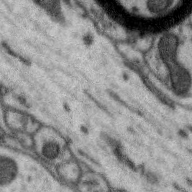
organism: Zebra finch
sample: Brain